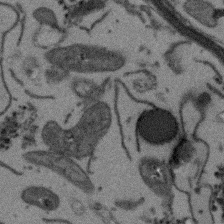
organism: Arabidopsis thaliana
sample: Root tip